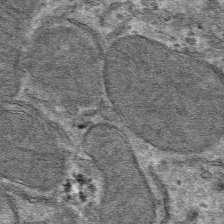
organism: Mouse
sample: Mouse hepatocytes